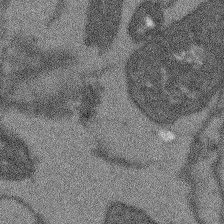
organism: Arabidopsis thaliana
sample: Root tip